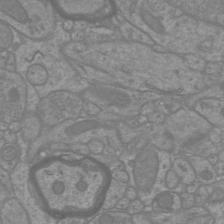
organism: Mouse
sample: Cortical neurons